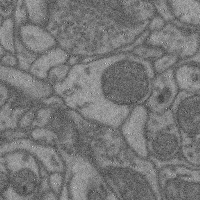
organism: Mouse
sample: Cerebral cortex